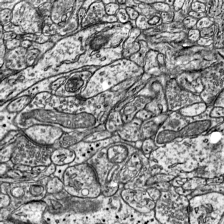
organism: Mouse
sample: Visual Cortex